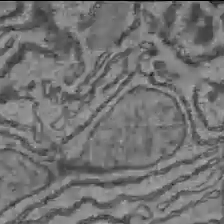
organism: C57BL Mouse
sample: Liver